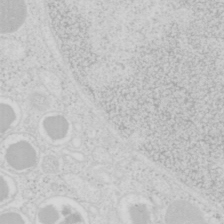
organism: Mouse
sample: Pancreas